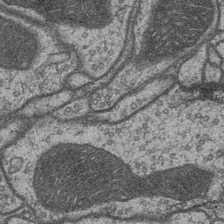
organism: Drosophila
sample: Optic medulla